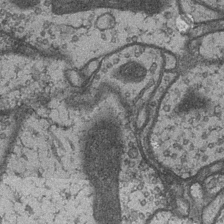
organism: Drosophila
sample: Optic medulla